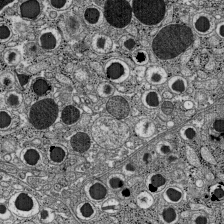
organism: C57BL Mouse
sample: Pancreatic islet